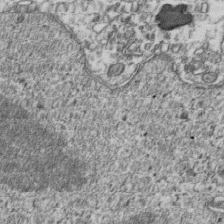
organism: Human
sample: Activated Jurkat CD4+ T cells